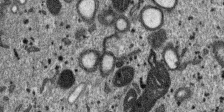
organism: Human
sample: Lung epithelial cells infected with SARS-CoV-2